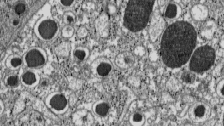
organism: C57BL Mouse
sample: Pancreatic islet